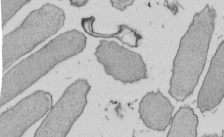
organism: E. coli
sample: Bacterial nucleoid